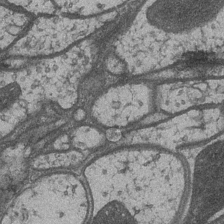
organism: Drosophila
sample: Optic medulla